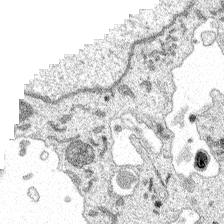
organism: Spongilla lacustris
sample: Multiple